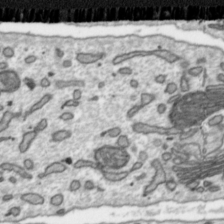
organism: Toxoplasma gondii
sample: Parasites in a vacuole inside a host cell